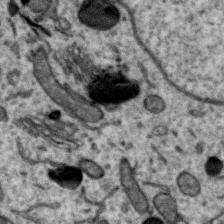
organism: Zebra finch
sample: Brain